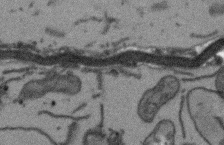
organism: Arabidopsis thaliana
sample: Root tip